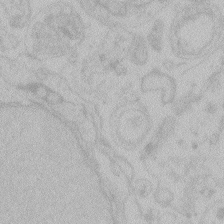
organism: Zebrafish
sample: Macrophage infected with Toxoplasma gondii